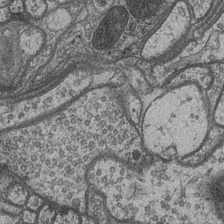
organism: Drosophila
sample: Optic medulla